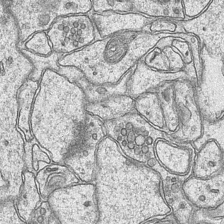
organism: Mouse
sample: CA1 Hippocampus